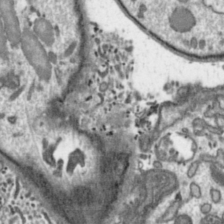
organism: Toxoplasma gondii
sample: Parasites in a vacuole inside a host cell